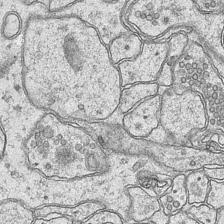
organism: Mouse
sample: CA1 Hippocampus